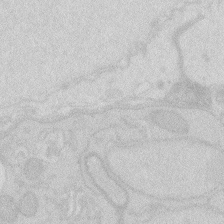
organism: Zebrafish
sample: Macrophage